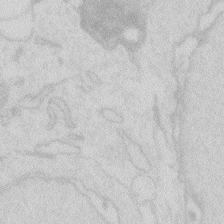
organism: Zebrafish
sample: Macrophage